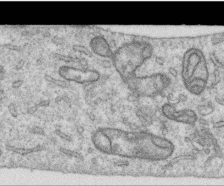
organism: Human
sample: Centriole in RPE cells